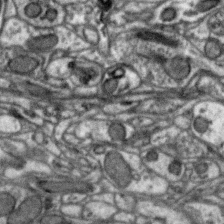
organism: Zebra finch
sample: Brain